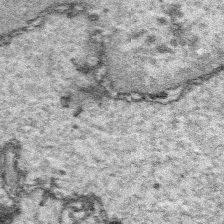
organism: Platynereis dumerilii